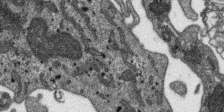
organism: Human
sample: Lung epithelial cells infected with SARS-CoV-2